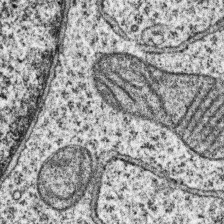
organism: Human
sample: HeLa cells